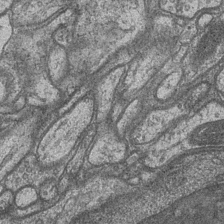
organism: Drosophila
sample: Optic medulla